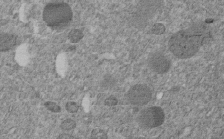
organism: C. elegans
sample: C. elegans embryo early stage